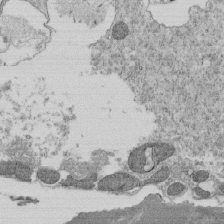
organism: Tetrahymena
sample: Cilia in tetrahymena